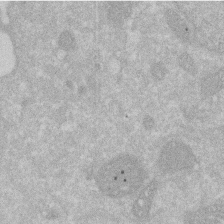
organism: Human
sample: HIV infected U937 cells